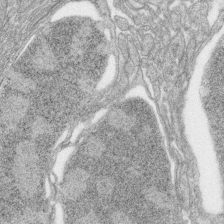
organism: Zebrafish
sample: synaptic ribbons in rod cells and cone cells